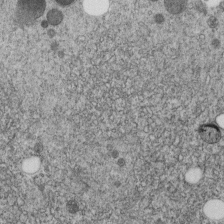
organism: C. elegans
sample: C. elegans embryo early stage